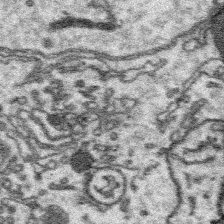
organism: Platynereis dumerilii